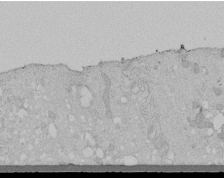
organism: Human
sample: Melanocyte Keratinocyte synapse skin construct